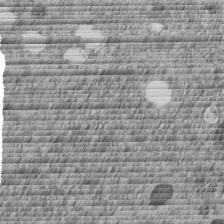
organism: C. elegans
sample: C. elegans embryo early stage